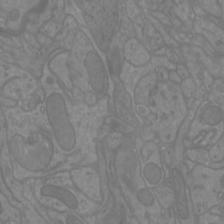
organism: Mouse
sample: Cortical neurons